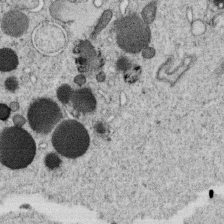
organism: C. elegans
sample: C. elegans oocyte; sperm cells